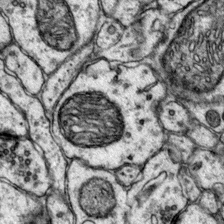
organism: Mouse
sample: Primary visual cortex